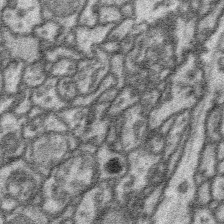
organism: Platynereis dumerilii